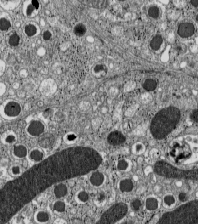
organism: C57BL Mouse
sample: Pancreatic islet